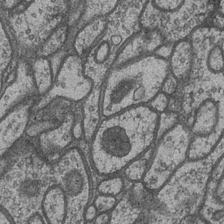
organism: Drosophila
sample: Optic medulla